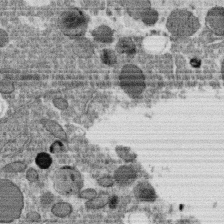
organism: C. elegans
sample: C. elegans oocyte; sperm cells